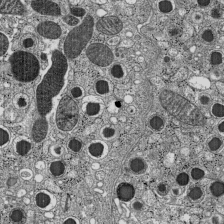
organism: C57BL Mouse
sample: Pancreatic islet